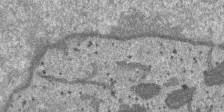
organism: Human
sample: Lung epithelial cells infected with SARS-CoV-2